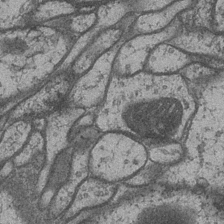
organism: Drosophila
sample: Optic medulla